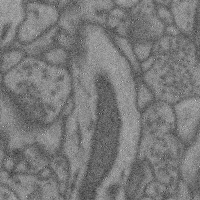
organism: Mouse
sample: Cerebral cortex